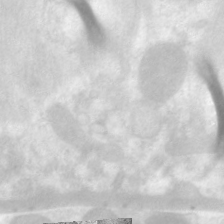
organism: C. elegans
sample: Pharynx